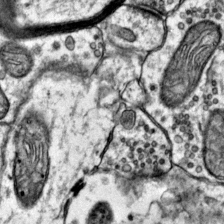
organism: Mouse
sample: Primary visual cortex